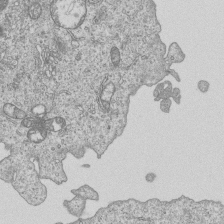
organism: Human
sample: MDA-MB-231 cells